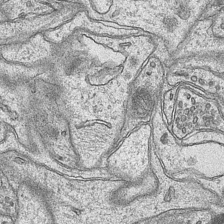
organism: Mouse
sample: CA1 Hippocampus